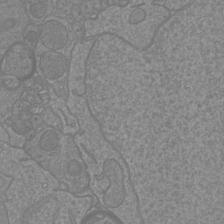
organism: Mouse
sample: Cortical neurons